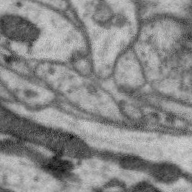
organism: Zebra finch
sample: Brain